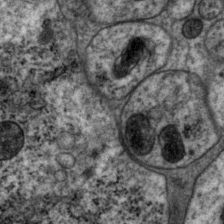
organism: P. pacificus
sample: Pharynx